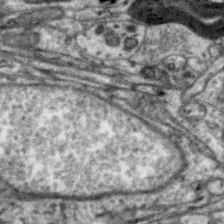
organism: Zebra finch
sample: Brain